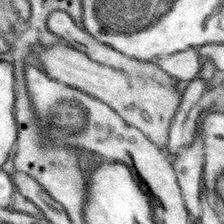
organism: Mouse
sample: Somatosensory cortex neuropil